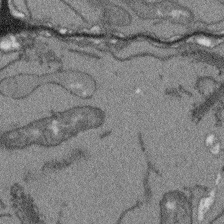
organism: Arabidopsis thaliana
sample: Root tip